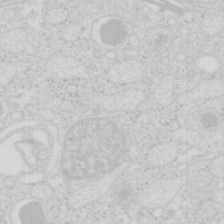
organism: Mouse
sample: Pancreas